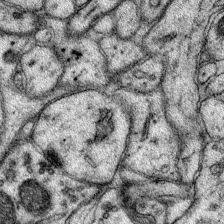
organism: Mouse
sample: Primary visual cortex